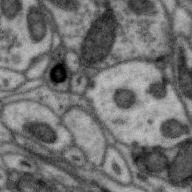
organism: Zebra finch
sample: Brain